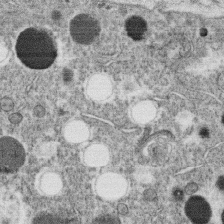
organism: C. elegans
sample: C. elegans oocyte; sperm cells